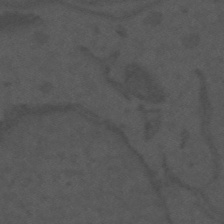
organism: Mouse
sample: Suprachiasmatic nucleus